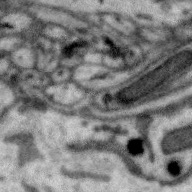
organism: Zebra finch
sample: Brain